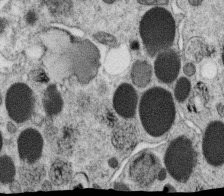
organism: C. elegans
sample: C. elegans oocyte; sperm cells